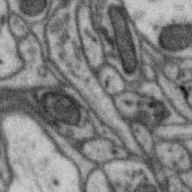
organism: Zebra finch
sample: Brain